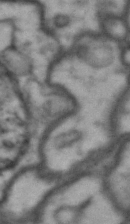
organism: Drosophila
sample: Brain